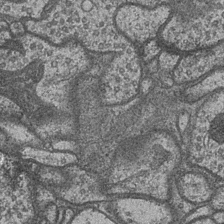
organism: Drosophila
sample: Optic medulla